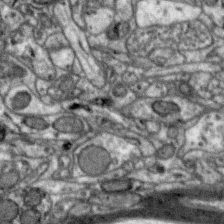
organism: Zebra finch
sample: Brain